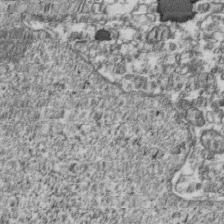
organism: Human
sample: Activated Jurkat CD4+ T cells